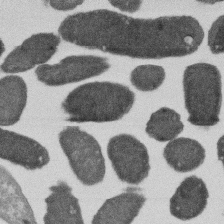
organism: E. coli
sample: Bacterial nucleoid